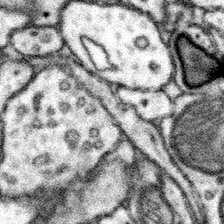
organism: Mouse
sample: Somatosensory cortex neuropil